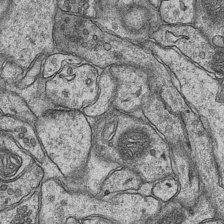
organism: Mouse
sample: CA1 Hippocampus